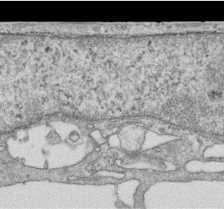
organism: Human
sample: Centriole in RPE cells